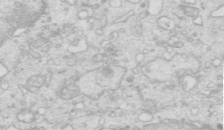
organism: Mouse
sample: Multiciliated cells